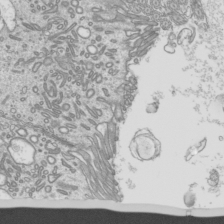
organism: Mouse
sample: Cilia; mouse epididymis